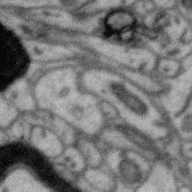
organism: Zebra finch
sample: Brain